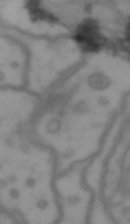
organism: Drosophila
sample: Brain